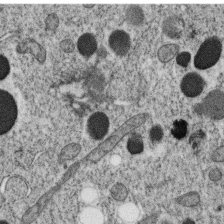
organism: C. elegans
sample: C. elegans oocyte; sperm cells